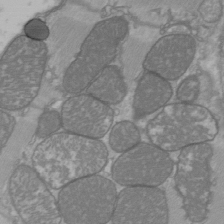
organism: C57BL Mouse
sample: Heart